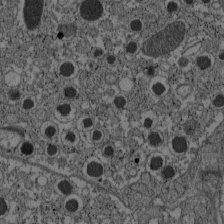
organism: C57BL Mouse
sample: Pancreatic islet